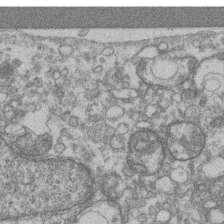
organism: Mouse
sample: T cell stromal cell synapse